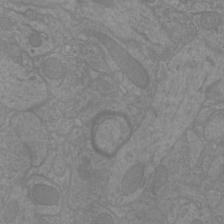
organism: Mouse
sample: Cortical neurons